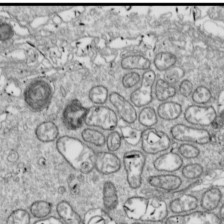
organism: Drosophila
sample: Cell division; meiosis; drosophila spermatocytes